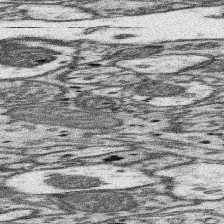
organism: Mouse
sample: Somatosensory cortex neuropil